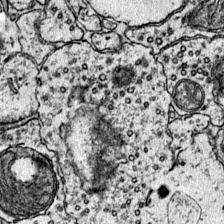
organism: Mouse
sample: Primary visual cortex